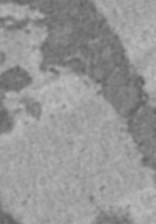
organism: C57BL Mouse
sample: Heart